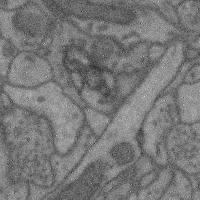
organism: Mouse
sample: Cerebral cortex